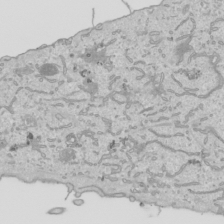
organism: Human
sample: Mitochondria in HCT116 cells